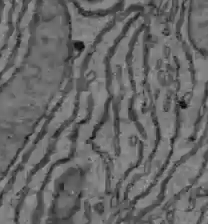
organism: C57BL Mouse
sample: Liver